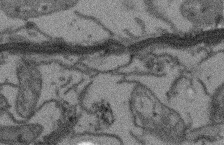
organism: Arabidopsis thaliana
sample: Root tip